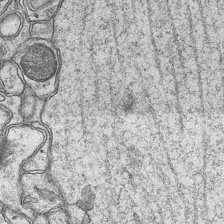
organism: Mouse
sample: CA1 Hippocampus